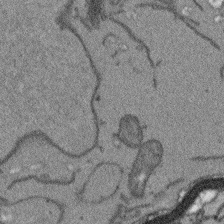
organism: Arabidopsis thaliana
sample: Root tip